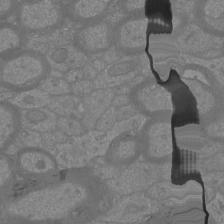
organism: Mouse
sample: Cortical neurons